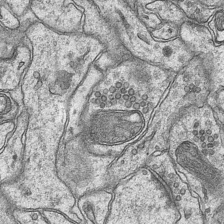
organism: Mouse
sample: CA1 Hippocampus